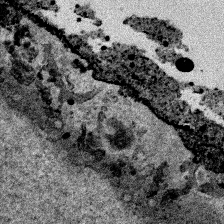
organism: Human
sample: Mitochondria in HCT116 cells